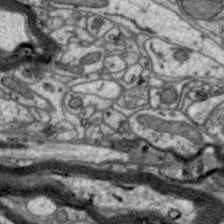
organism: Zebra finch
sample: Brain